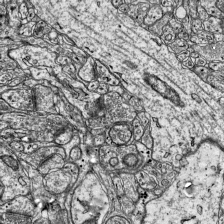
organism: Mouse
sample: Visual Cortex